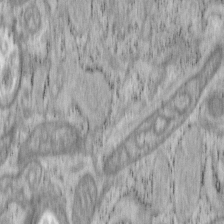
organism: Human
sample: HeLa cells